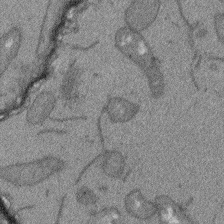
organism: Arabidopsis thaliana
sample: Root tip